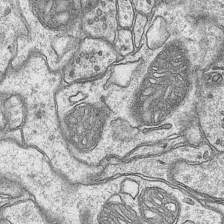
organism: Mouse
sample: CA1 Hippocampus